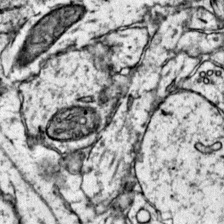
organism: Mouse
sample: Primary visual cortex